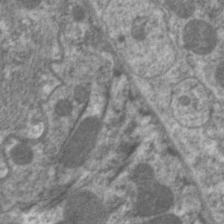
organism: C. elegans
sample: Pharynx